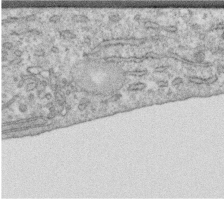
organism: Human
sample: Centriole in RPE cells